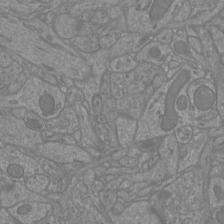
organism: Mouse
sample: Cortical neurons